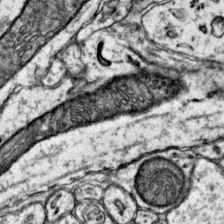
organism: Mouse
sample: Primary visual cortex